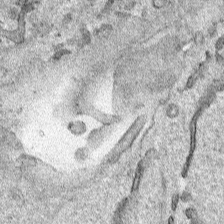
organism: Human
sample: Mitochondria in HCT116 cells